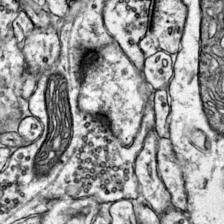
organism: Mouse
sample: Primary visual cortex